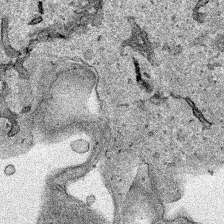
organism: Human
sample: Mitochondria in HCT116 cells